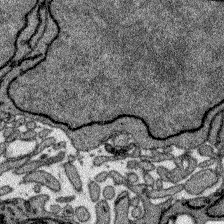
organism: Zebrafish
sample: Larval olfactory bulb